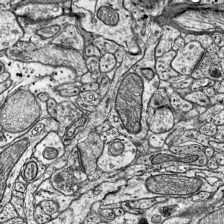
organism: Mouse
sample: Visual Cortex